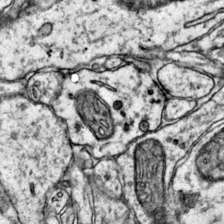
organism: Mouse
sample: Primary visual cortex